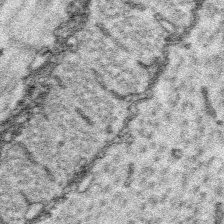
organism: Platynereis dumerilii